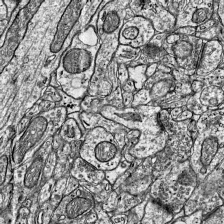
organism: Mouse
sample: Visual Cortex